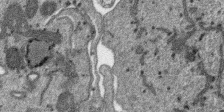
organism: Human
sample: Lung epithelial cells infected with SARS-CoV-2